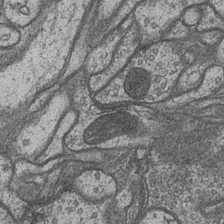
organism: Drosophila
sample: Optic medulla